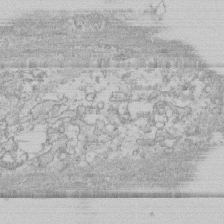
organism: Human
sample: CRL-1474